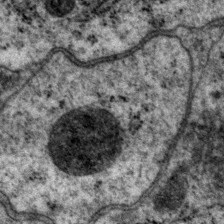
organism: P. pacificus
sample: Pharynx